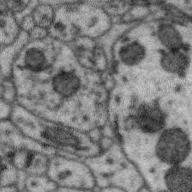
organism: Zebra finch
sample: Brain